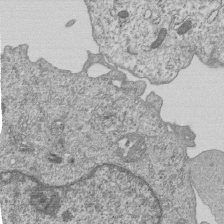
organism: Human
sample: MDA-MB-231 cells